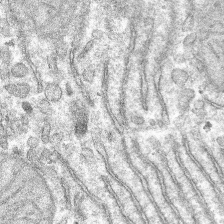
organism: Mouse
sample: Mouse hepatocytes